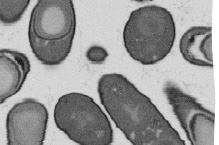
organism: B. subtilis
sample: Bacterial spore